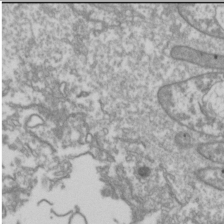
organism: Drosophila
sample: Cell division; meiosis; drosophila spermatocytes